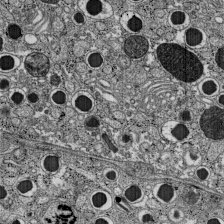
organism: C57BL Mouse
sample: Pancreatic islet